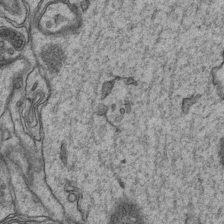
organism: Mouse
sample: CA1 Hippocampus